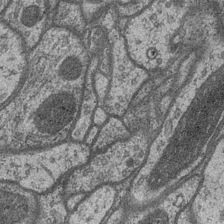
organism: Drosophila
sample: Optic medulla